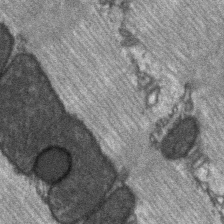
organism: C57BL Mouse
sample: Soleus